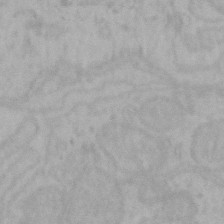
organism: Mouse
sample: Choroid plexus